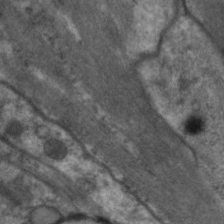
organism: C. elegans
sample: Pharynx